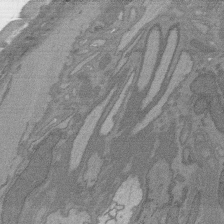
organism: C. elegans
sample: AFD neurons C. elegans